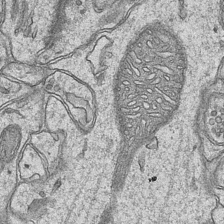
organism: Mouse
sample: CA1 Hippocampus